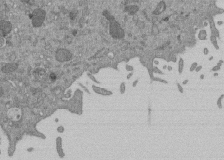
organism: Mouse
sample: ED-1 cell nuclei; centrioles